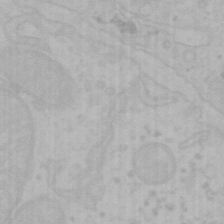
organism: Mouse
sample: Choroid plexus